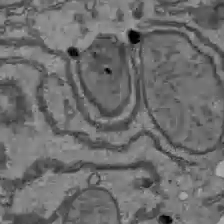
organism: C57BL Mouse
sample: Liver